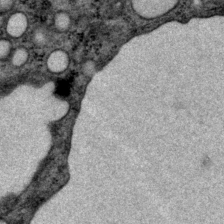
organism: P. pacificus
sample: Pharynx